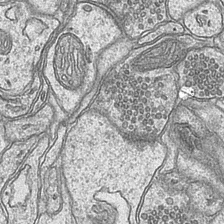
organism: Mouse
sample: CA1 Hippocampus